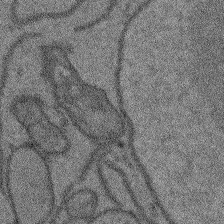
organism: Arabidopsis thaliana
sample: Root tip